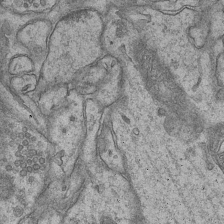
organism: Mouse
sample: CA1 Hippocampus